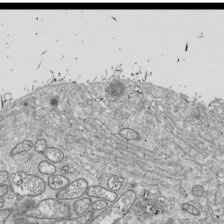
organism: Drosophila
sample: Cell division; meiosis; drosophila spermatocytes